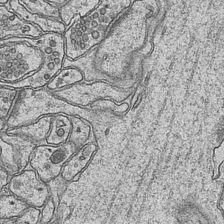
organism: Mouse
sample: CA1 Hippocampus